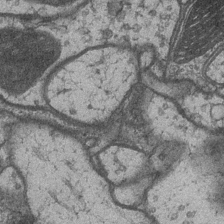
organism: Drosophila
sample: Optic medulla